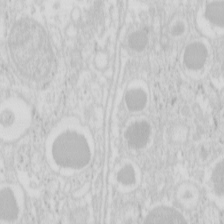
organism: Mouse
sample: Pancreas